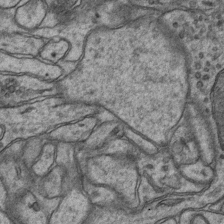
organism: Mouse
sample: CA1 Hippocampus